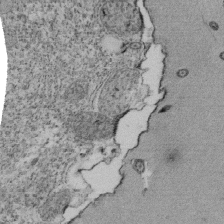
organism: Tetrahymena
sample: Cilia in tetrahymena